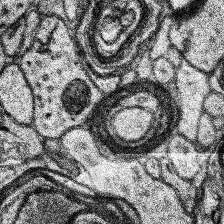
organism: Human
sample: Temporal Lobe